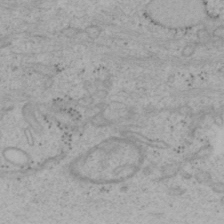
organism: Human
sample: HeLa cells